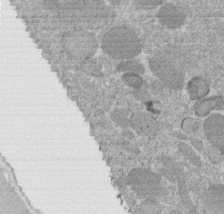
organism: C. elegans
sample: C. elegans embryo early stage